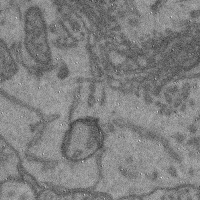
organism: Mouse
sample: Cerebral cortex